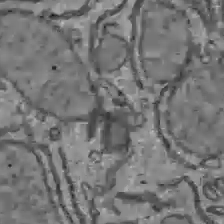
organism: C57BL Mouse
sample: Liver